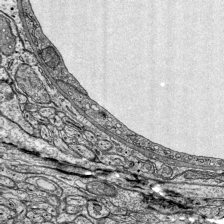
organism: Mouse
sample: Visual Cortex